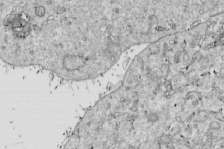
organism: Drosophila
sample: Cell division; meiosis; drosophila spermatocytes